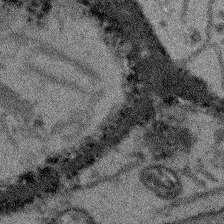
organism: Arabidopsis thaliana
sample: Root tip